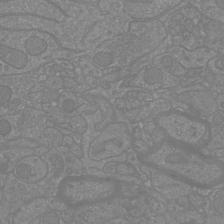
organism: Mouse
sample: Cortical neurons